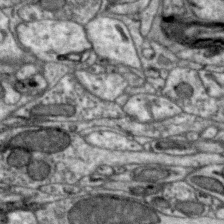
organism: Zebra finch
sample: Brain